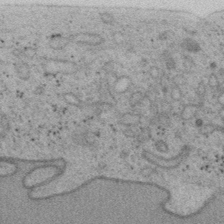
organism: Human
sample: HeLa cells